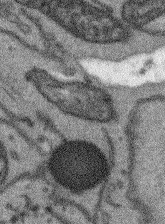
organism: Arabidopsis thaliana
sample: Root tip